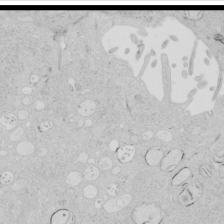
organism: Human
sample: Mitochondria in HCT116 cells